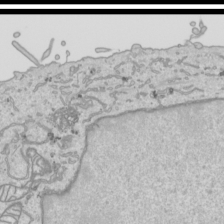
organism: Human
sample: Mitochondria in HCT116 cells